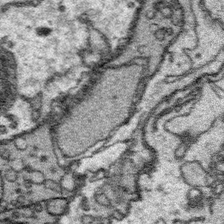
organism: Platynereis dumerilii